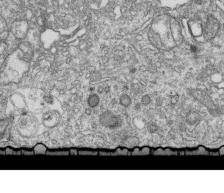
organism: Human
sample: HeLa cell HIV synapse